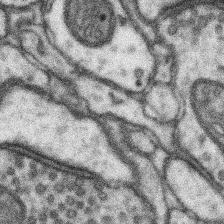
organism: Mouse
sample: Somatosensory cortex neuropil